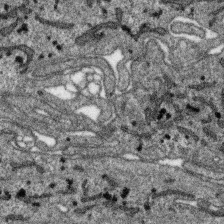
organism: Human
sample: Lung epithelial cells infected with SARS-CoV-2